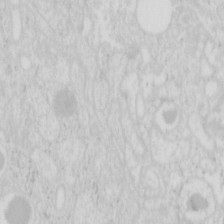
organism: Mouse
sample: Pancreas